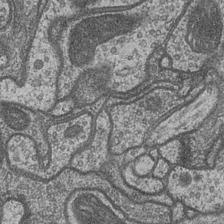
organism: Drosophila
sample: Optic medulla